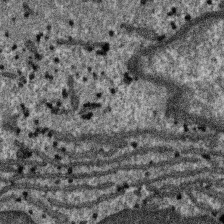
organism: Human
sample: Lung epithelial cells infected with SARS-CoV-2